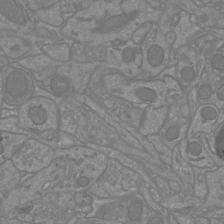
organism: Mouse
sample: Cortical neurons